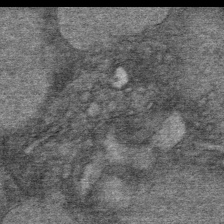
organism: Mouse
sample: Mouse Salivary gland